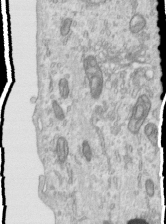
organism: Human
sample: Centriole in RPE cells